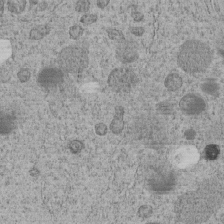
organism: C. elegans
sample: C. elegans embryo early stage